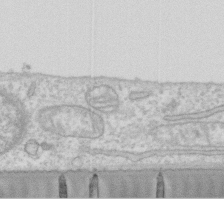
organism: Human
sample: Fibroblast cells